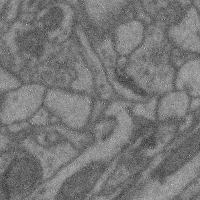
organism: Mouse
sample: Cerebral cortex